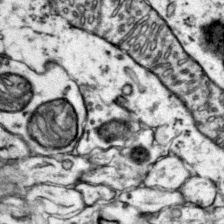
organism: Mouse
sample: Primary visual cortex